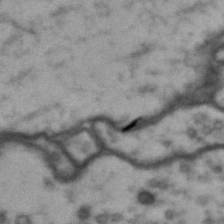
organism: Drosophila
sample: Brain